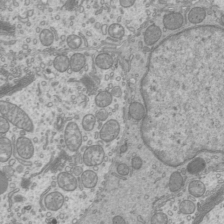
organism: Mouse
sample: Cilia; mouse epididymis